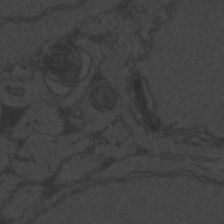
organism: Zebrafish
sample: Macrophage infected with Toxoplasma gondii